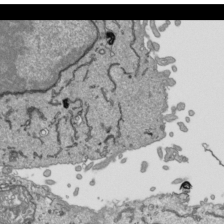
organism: Human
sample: Mitochondria in HCT116 cells